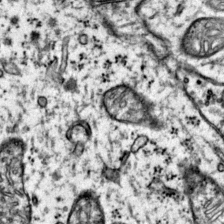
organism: Mouse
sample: Primary visual cortex